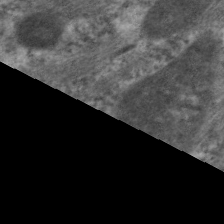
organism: C. elegans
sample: Pharynx